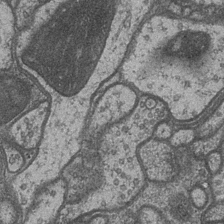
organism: Drosophila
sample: Optic medulla